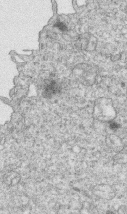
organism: Human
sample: HeLa cell HIV synapse